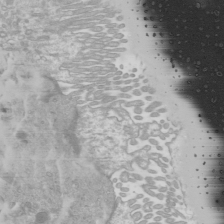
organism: Mouse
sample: Cilia; mouse epididymis